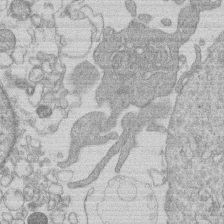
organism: Human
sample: Macrophage cells